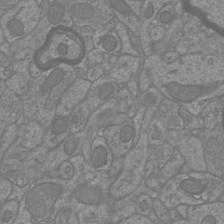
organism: Mouse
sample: Cortical neurons